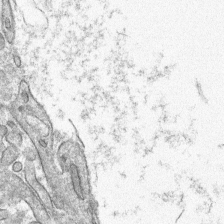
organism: Mouse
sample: Mouse hepatocytes